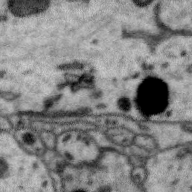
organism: Zebra finch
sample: Brain